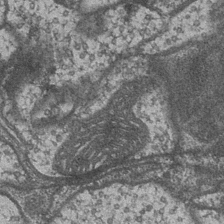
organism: Drosophila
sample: Optic medulla